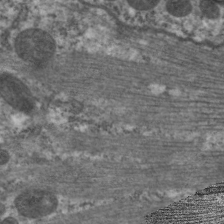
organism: C. elegans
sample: Pharynx